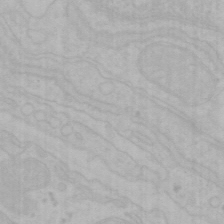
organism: Mouse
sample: Choroid plexus